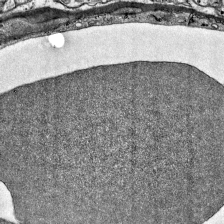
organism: Mouse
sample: Visual Cortex